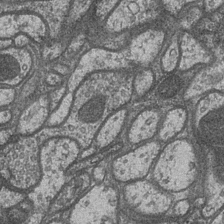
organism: Drosophila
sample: Optic medulla